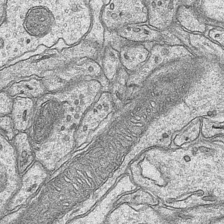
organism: Mouse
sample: CA1 Hippocampus